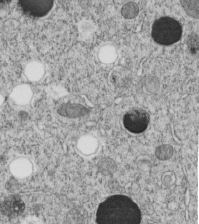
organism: C. elegans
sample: C. elegans embryo early stage